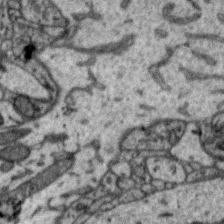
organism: Zebra finch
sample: Brain